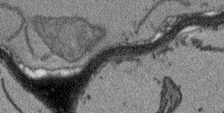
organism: Arabidopsis thaliana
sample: Root tip